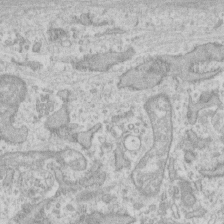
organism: Human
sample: Fibroblast cells